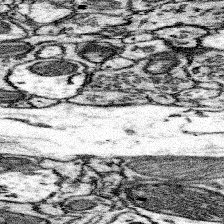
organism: Mouse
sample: Somatosensory cortex neuropil